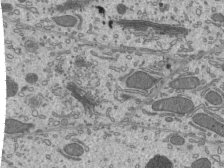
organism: Mouse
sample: Mouse epididymis efferent ductule cilia